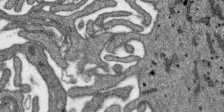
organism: Human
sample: Lung epithelial cells, uninfected (mock) control